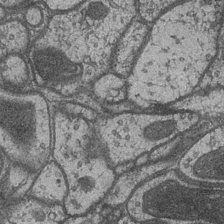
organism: Drosophila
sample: Optic medulla